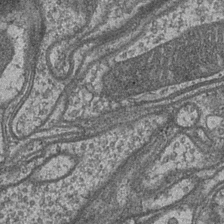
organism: Drosophila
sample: Optic medulla